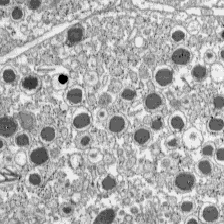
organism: C57BL Mouse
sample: Pancreatic islet